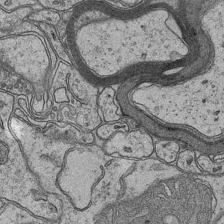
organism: Mouse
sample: CA1 Hippocampus